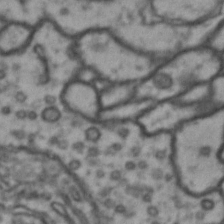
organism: Drosophila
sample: Brain